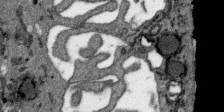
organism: Human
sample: Lung epithelial cells, uninfected (mock) control